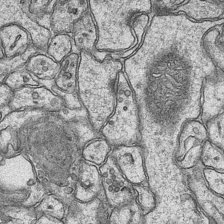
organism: Mouse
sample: CA1 Hippocampus